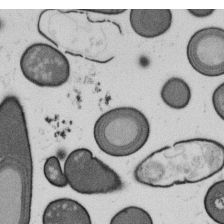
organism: B. subtilis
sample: Bacterial spore